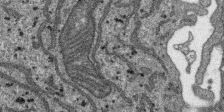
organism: Human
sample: Lung epithelial cells infected with SARS-CoV-2